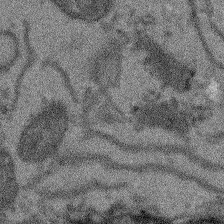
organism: Arabidopsis thaliana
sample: Root tip